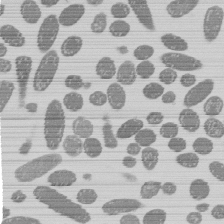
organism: E. coli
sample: Bacterial nucleoid